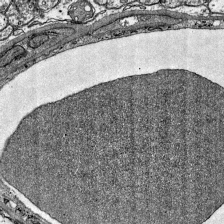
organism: Mouse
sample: Visual Cortex